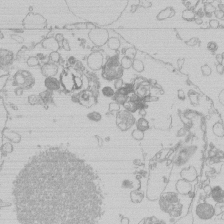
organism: Human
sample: Macrophage cells